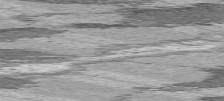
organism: C57BL Mouse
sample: Heart